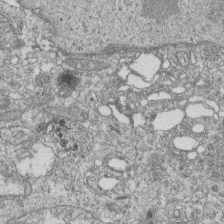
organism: Human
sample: HeLa cell HIV synapse